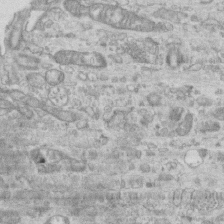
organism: Mouse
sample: Centriole in ependymal cells